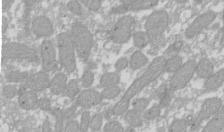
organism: Xenopus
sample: Cilia; centrioles in frog embryo cells